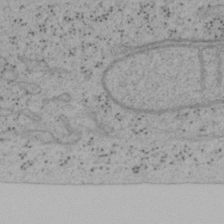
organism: Human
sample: HeLa cells